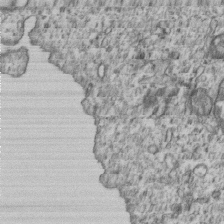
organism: Human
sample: MDA-MB-231 cells